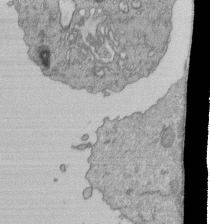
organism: Human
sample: Retinal organoid Rod and Cone cells